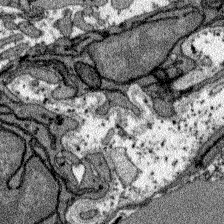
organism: Zebrafish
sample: Larval olfactory bulb